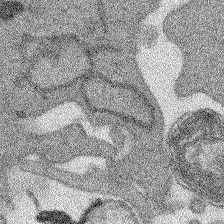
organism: Human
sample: HeLa cells